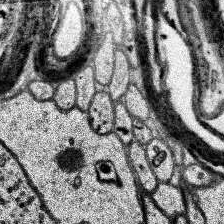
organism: Human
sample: Temporal Lobe